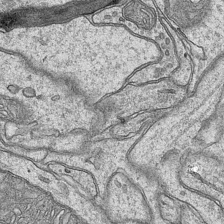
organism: Mouse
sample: CA1 Hippocampus